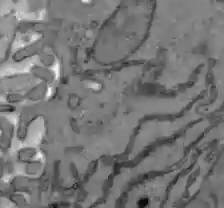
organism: C57BL Mouse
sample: Liver